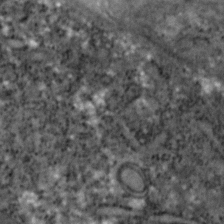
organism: Zebrafish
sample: Zebrafish embryo